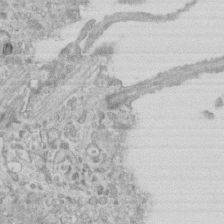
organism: Mouse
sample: Centriole in ependymal cells